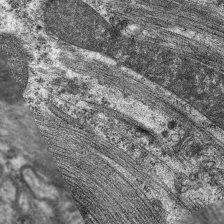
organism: C. elegans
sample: Pharynx